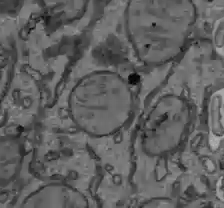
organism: C57BL Mouse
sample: Liver